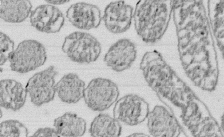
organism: E. coli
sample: Bacterial nucleoid